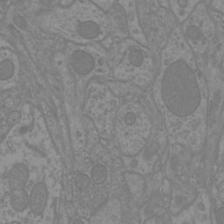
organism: Mouse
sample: Cortical neurons